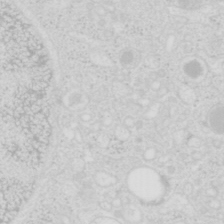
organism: Mouse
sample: Pancreas